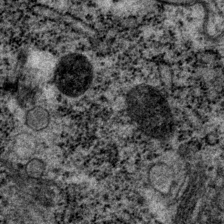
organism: P. pacificus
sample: Pharynx